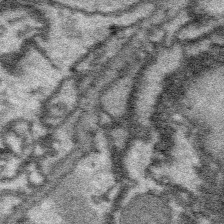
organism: Platynereis dumerilii